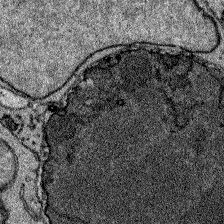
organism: Zebrafish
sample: Larval olfactory bulb